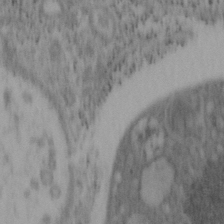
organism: Mouse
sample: OT-I killer T cells with ID8 ovarian cancer cells